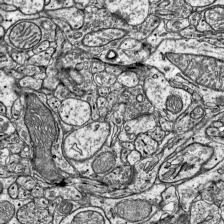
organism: Mouse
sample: Visual Cortex